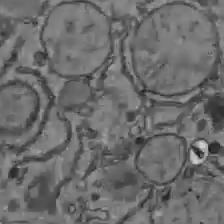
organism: C57BL Mouse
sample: Liver